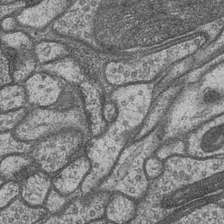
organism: Drosophila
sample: Optic medulla